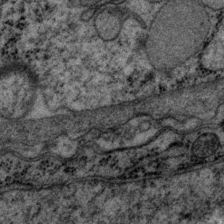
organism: P. pacificus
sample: Pharynx